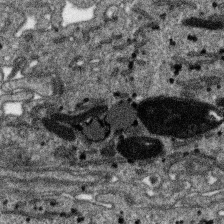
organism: Human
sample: Lung epithelial cells infected with SARS-CoV-2